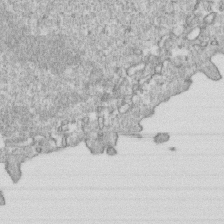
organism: Mouse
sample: Activated OT-1 CD8+ T cells